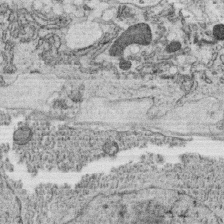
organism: C. elegans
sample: C. elegans oocyte; sperm cells